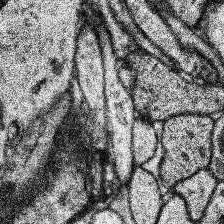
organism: Human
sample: Temporal Lobe